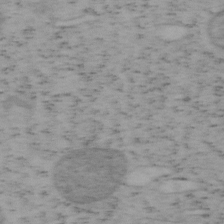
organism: Mouse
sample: OT-I killer T cells with ID8 ovarian cancer cells